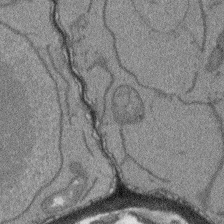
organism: Arabidopsis thaliana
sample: Root tip